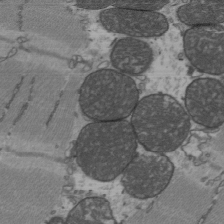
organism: C57BL Mouse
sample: Heart